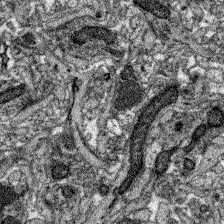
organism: Zebrafish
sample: Larval olfactory bulb